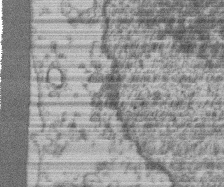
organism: Mouse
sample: T cell stromal cell synapse